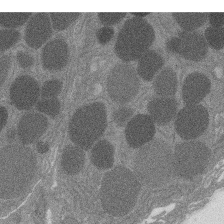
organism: Rat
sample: Salivary granule